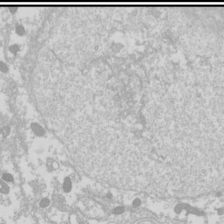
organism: Drosophila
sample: Cell division; meiosis; drosophila spermatocytes